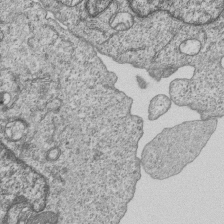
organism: Human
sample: MDA-MB-231 cells